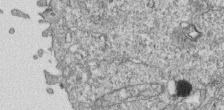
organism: Human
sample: HeLa cell HIV synapse